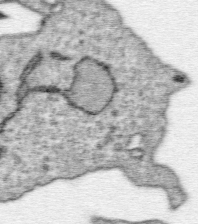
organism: Human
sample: HeLa cells